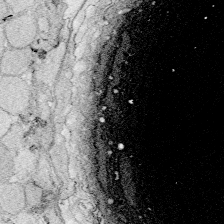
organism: Zebrafish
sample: Whole-Brain